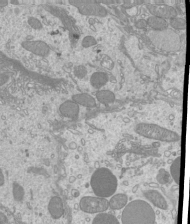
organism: Mouse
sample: Cilia; mouse epididymis